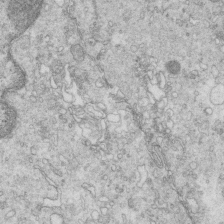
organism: Mouse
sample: Multiciliated cells